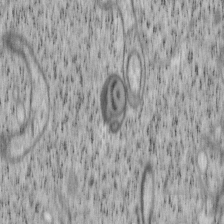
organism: Human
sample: HeLa cells